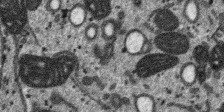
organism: Human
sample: Lung epithelial cells infected with SARS-CoV-2